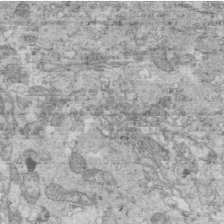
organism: Mouse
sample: Multiciliated cells